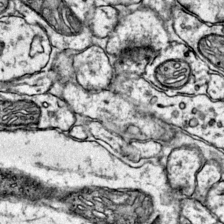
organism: Mouse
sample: Primary visual cortex